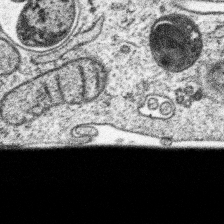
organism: Human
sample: HeLa cells